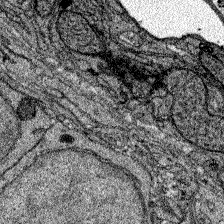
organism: Zebrafish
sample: Larval olfactory bulb